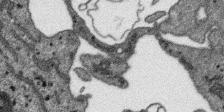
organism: Human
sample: Lung epithelial cells infected with SARS-CoV-2